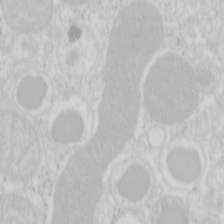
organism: Mouse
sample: Pancreas